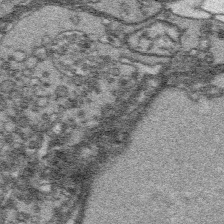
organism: Platynereis dumerilii